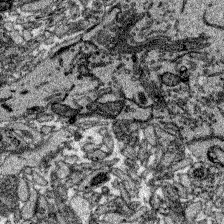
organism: Zebrafish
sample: Larval olfactory bulb